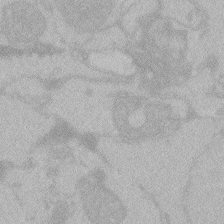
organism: Zebrafish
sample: Macrophage infected with Toxoplasma gondii